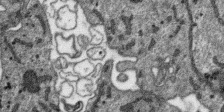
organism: Human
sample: Lung epithelial cells infected with SARS-CoV-2